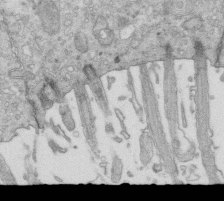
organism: Mouse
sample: Multiciliated cells